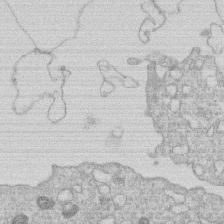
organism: Human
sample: Macrophage cells